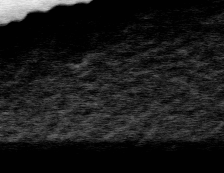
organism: Human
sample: HeLa cells